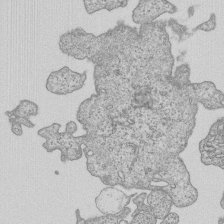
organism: Human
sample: MDA-MB-231 cells